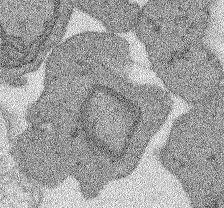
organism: Human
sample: HeLa cells